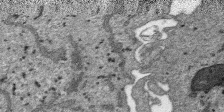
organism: Human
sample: Lung epithelial cells infected with SARS-CoV-2